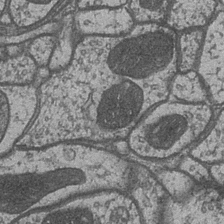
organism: Drosophila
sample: Optic medulla